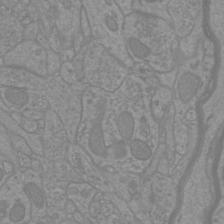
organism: Mouse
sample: Cortical neurons